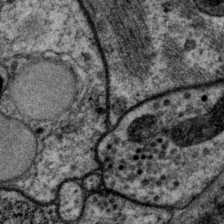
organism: P. pacificus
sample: Pharynx